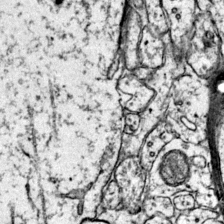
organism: Mouse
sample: Primary visual cortex